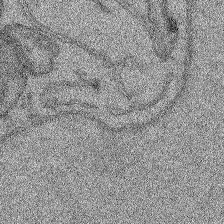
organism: Human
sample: HeLa cells